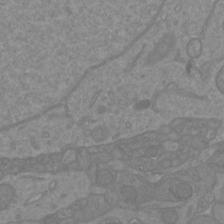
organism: Mouse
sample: Cortical neurons